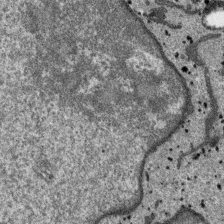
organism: Human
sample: Lung epithelial cells, uninfected (mock) control